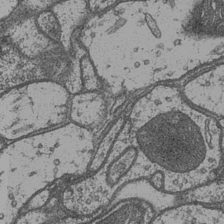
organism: Drosophila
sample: Optic medulla